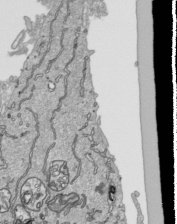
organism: Human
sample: Mitochondria in HCT116 cells